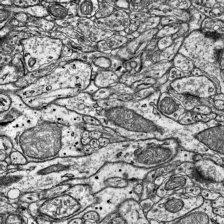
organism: Mouse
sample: Visual Cortex